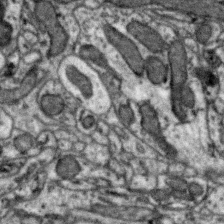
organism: Zebra finch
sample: Brain